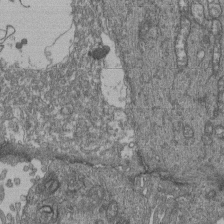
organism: Human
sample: Retinal organoid Rod and Cone cells